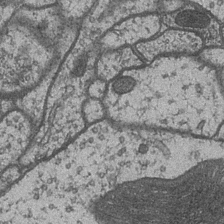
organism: Drosophila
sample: Optic medulla